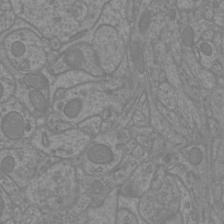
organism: Mouse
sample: Cortical neurons